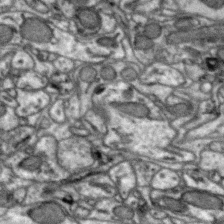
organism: Zebra finch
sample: Brain